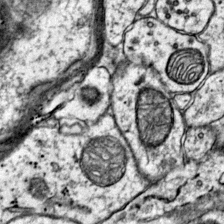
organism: Mouse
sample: Primary visual cortex